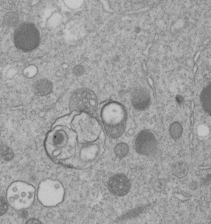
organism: C. elegans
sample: C. elegans embryo early stage